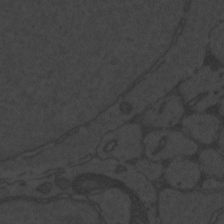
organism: Zebrafish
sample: Macrophage infected with Toxoplasma gondii